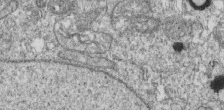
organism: Human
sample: HeLa cell HIV synapse